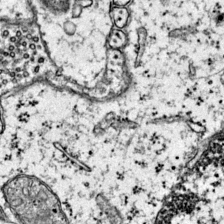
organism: Mouse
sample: Primary visual cortex